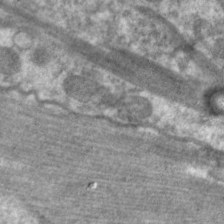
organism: C. elegans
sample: Pharynx